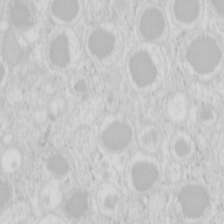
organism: Mouse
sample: Pancreas